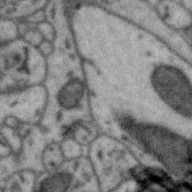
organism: Zebra finch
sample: Brain